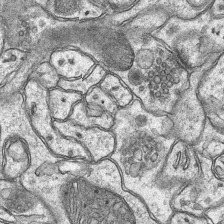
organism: Mouse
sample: CA1 Hippocampus